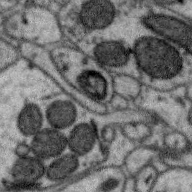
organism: Zebra finch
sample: Brain